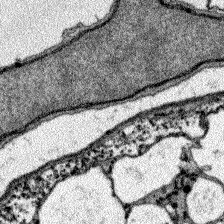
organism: Zebrafish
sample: Larval olfactory bulb